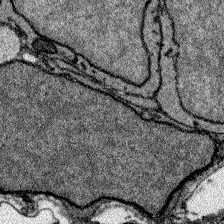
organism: Zebrafish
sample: Larval olfactory bulb